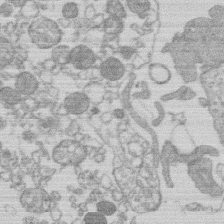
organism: Human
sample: Macrophage cells